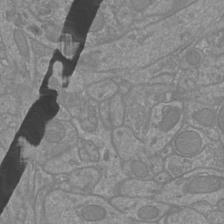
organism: Mouse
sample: Cortical neurons